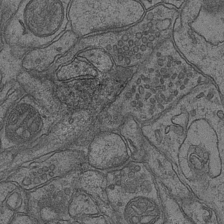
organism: Mouse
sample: CA1 Hippocampus